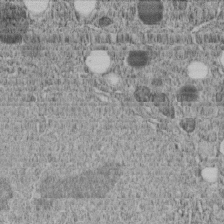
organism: C. elegans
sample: C. elegans embryo early stage